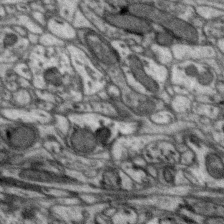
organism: Zebra finch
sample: Brain